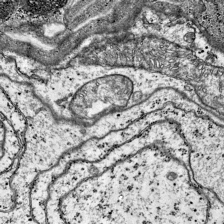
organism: Mouse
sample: Visual Cortex